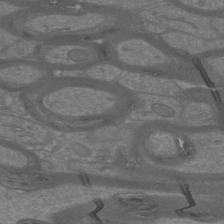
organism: Mouse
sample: Cortical neurons